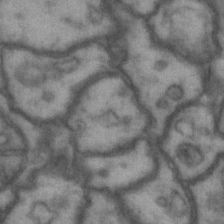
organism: Drosophila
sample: Brain